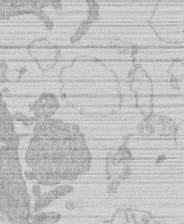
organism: Human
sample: Macrophage cells